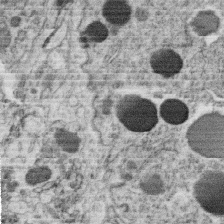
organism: C. elegans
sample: C. elegans oocyte; sperm cells